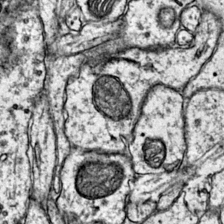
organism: Mouse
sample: Primary visual cortex